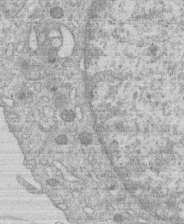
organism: Human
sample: Macrophage cells